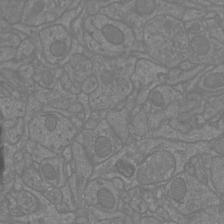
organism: Mouse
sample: Cortical neurons